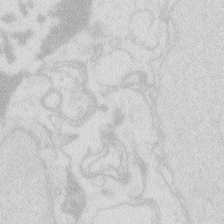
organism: Zebrafish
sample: Macrophage